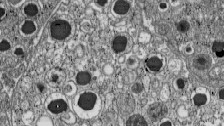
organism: C57BL Mouse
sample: Pancreatic islet